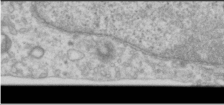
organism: Human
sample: Cilia; basal body in RPE cells